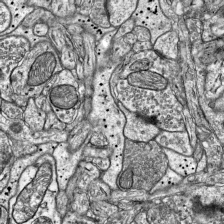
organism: Mouse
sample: Visual Cortex